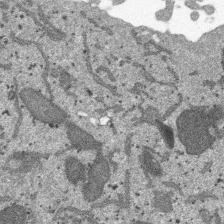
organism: Human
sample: Lung epithelial cells infected with SARS-CoV-2